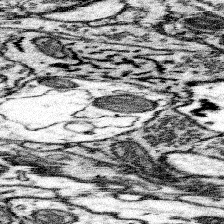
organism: Mouse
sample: Somatosensory cortex neuropil